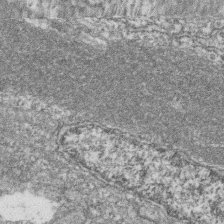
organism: Zebrafish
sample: Cilia; retinal pigment epithelium